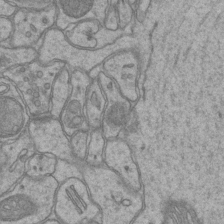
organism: Mouse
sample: CA1 Hippocampus